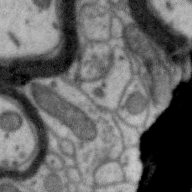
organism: Zebra finch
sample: Brain